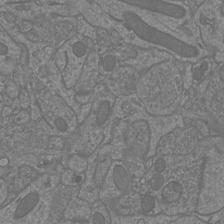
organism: Mouse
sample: Cortical neurons